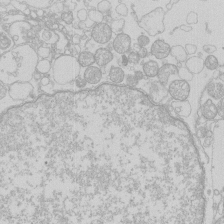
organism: Human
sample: Macrophage cells